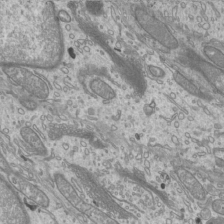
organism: Mouse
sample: Cilia; mouse epididymis